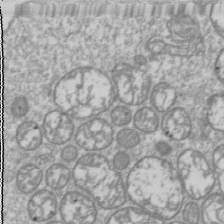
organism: Drosophila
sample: Cell division; meiosis; drosophila spermatocytes